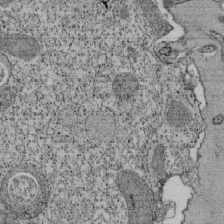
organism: Tetrahymena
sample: Cilia in tetrahymena